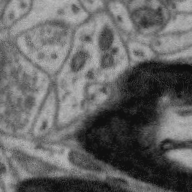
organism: Zebra finch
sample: Brain